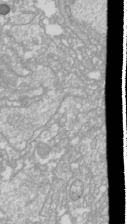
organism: Drosophila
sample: Cell division; meiosis; drosophila spermatocytes